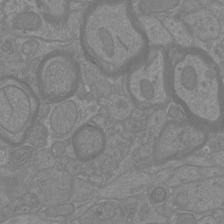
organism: Mouse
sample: Cortical neurons